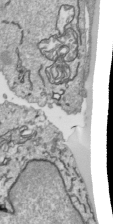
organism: Human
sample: Mitochondria in HCT116 cells